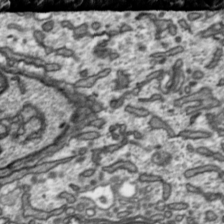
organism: Toxoplasma gondii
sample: Parasites in a vacuole inside a host cell